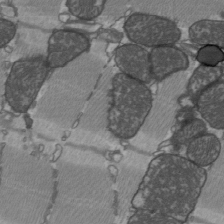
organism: C57BL Mouse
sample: Heart